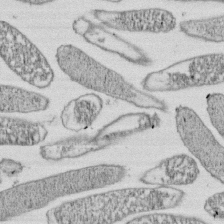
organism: E. coli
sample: Bacterial nucleoid